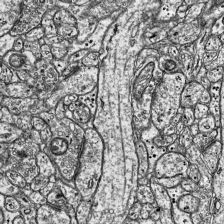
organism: Mouse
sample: Visual Cortex